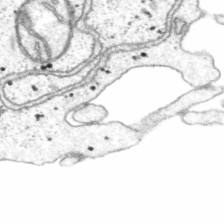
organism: Human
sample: HeLa cells